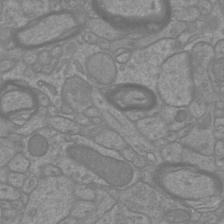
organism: Mouse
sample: Cortical neurons